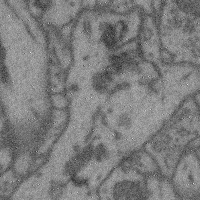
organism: Mouse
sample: Cerebral cortex